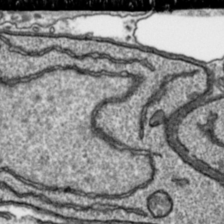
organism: Toxoplasma gondii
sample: Parasites in a vacuole inside a host cell